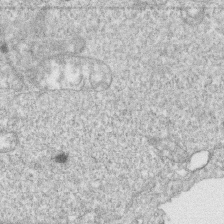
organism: Human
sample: HeLa cell HIV synapse